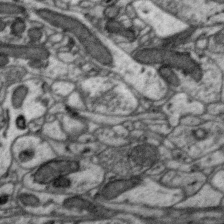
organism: Zebra finch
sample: Brain